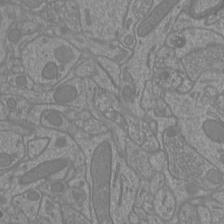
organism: Mouse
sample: Cortical neurons